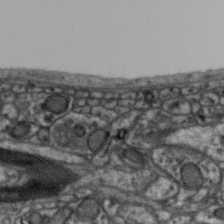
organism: Zebra finch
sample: Brain